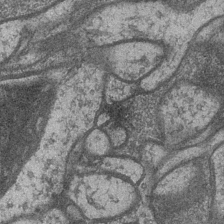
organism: Drosophila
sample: Optic medulla